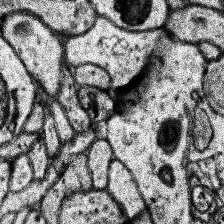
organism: Human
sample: Temporal Lobe